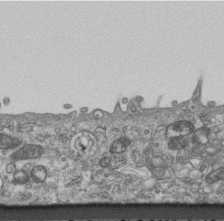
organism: Mouse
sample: Centriole in ependymal cells